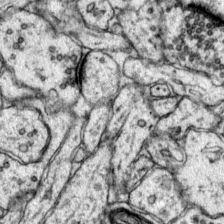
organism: Mouse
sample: Primary visual cortex